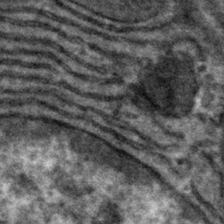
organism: Mouse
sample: Mouse hepatocytes